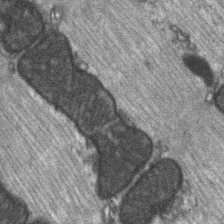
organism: C57BL Mouse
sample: Soleus